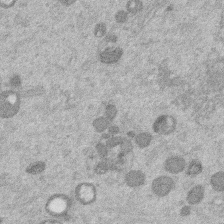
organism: Mouse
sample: Dividing mouse embryo 1 cell stage